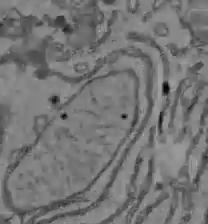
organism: C57BL Mouse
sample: Liver